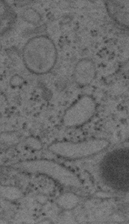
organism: Human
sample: HeLa cells